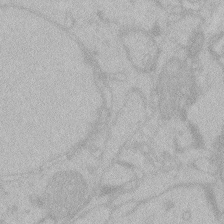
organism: Zebrafish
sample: Macrophage infected with Toxoplasma gondii